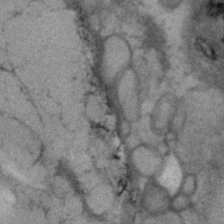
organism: Human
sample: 1205lu cells